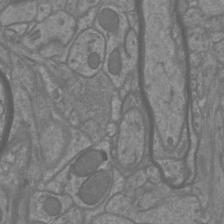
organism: Mouse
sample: Cortical neurons